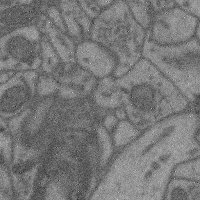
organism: Mouse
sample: Cerebral cortex